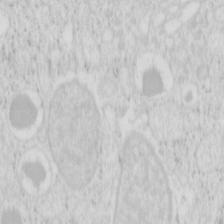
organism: Mouse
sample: Pancreas